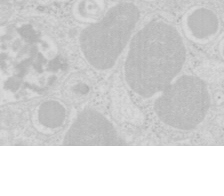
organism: Mouse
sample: Pancreas